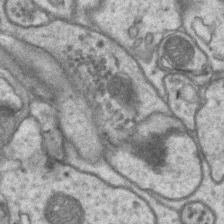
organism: Mouse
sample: CA1 Hippocampus